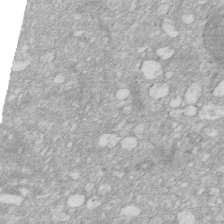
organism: Human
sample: HIV infected U937 cells